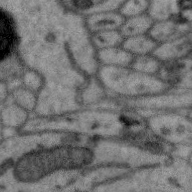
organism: Zebra finch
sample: Brain